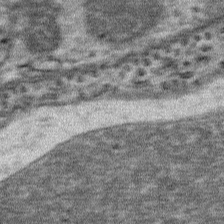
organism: Mouse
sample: Mouse Salivary gland